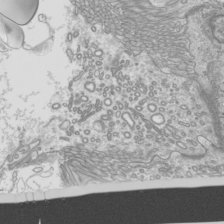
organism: Mouse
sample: Cilia; mouse epididymis